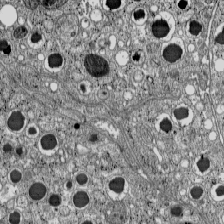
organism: C57BL Mouse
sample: Pancreatic islet